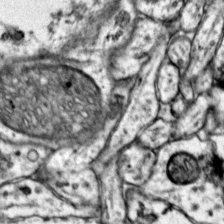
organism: Mouse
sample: Primary visual cortex